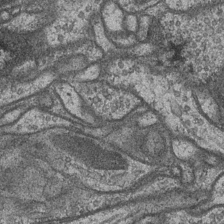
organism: Drosophila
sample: Optic medulla